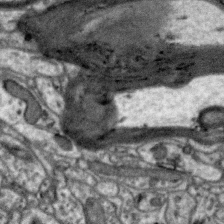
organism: Zebra finch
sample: Brain